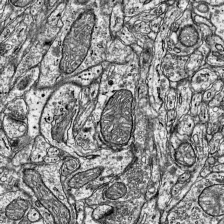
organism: Mouse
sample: Visual Cortex